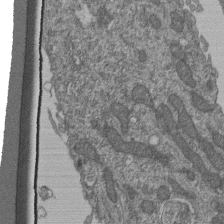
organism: Human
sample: Retinal organoid Rod and Cone cells